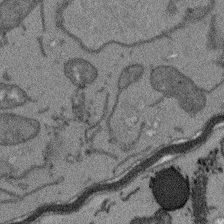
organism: Arabidopsis thaliana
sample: Root tip